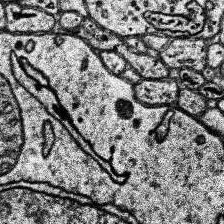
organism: Human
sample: Temporal Lobe